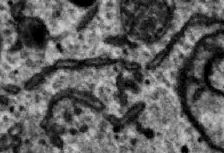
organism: Human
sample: HeLa cells